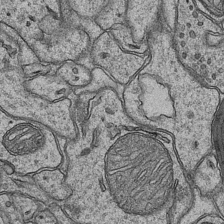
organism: Mouse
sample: CA1 Hippocampus